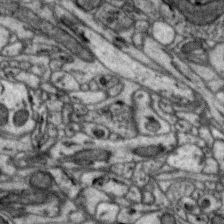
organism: Zebra finch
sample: Brain